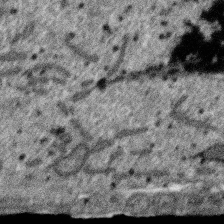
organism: Human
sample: Lung epithelial cells infected with SARS-CoV-2